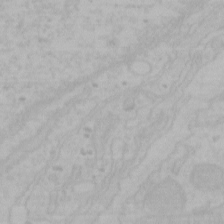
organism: Mouse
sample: Choroid plexus